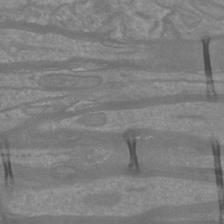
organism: Mouse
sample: Cortical neurons